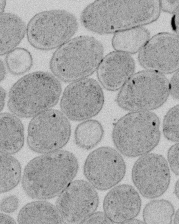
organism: E. coli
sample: Bacterial nucleoid